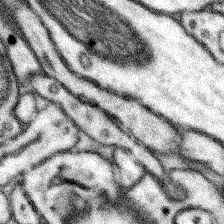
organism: Mouse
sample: Somatosensory cortex neuropil